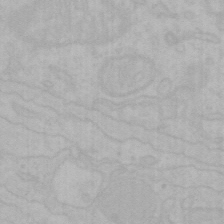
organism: Mouse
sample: Choroid plexus